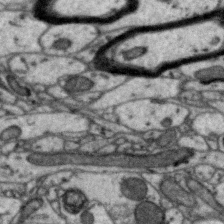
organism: Zebra finch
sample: Brain